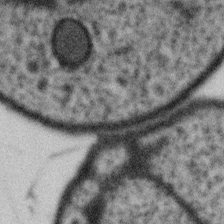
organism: Gemmata obscuriglobus